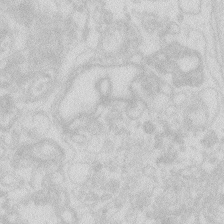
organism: Zebrafish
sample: Macrophage